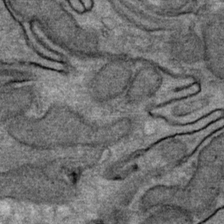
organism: Mouse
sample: Mouse Salivary gland